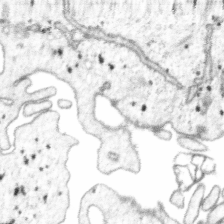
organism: Human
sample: HeLa cells